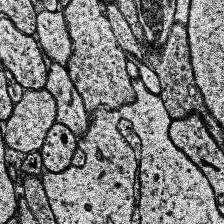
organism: Human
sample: Temporal Lobe